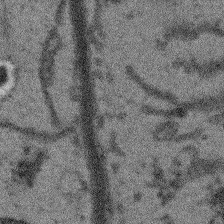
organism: Arabidopsis thaliana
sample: Root tip